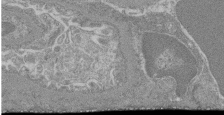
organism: Mouse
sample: Glomerulus